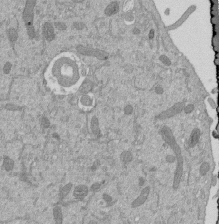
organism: Mouse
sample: ED-1 cell nuclei; centrioles